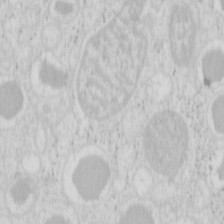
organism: Mouse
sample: Pancreas